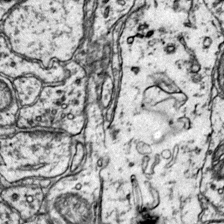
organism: Mouse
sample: Primary visual cortex